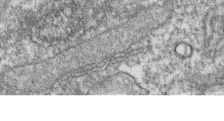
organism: Zebrafish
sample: Cilia; retinal pigment epithelium